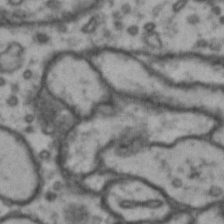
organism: Drosophila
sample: Brain